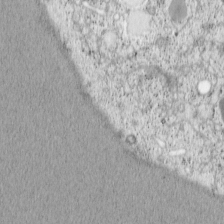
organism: African green monkey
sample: COS-7 cells